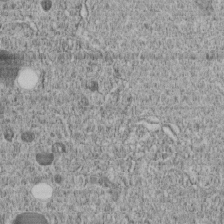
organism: C. elegans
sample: C. elegans embryo early stage